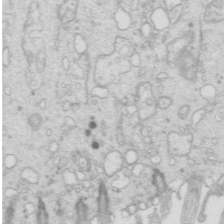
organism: Mouse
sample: Multiciliated cells